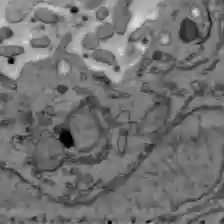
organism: C57BL Mouse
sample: Liver